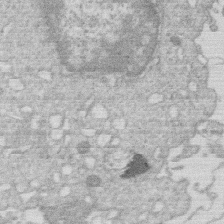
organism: Human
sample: Macrophage cells